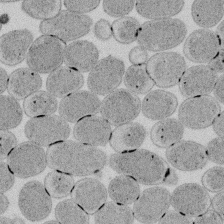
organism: E. coli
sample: Bacterial nucleoid